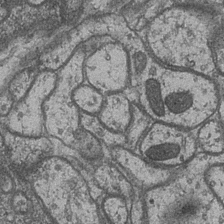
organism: Drosophila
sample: Optic medulla